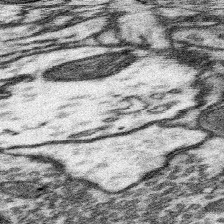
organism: Mouse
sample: Somatosensory cortex neuropil